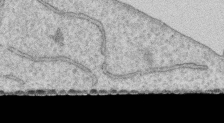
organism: Human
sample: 1205lu cells